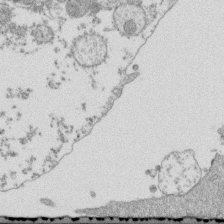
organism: Human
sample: HeLa cell HIV synapse